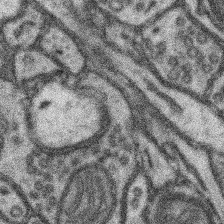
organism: Mouse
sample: Somatosensory cortex neuropil